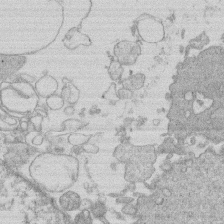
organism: Human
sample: Macrophage cells